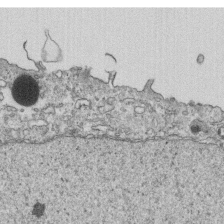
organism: Human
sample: HeLa cell HIV synapse